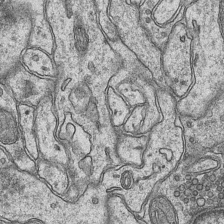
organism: Mouse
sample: CA1 Hippocampus